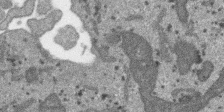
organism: Human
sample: Lung epithelial cells infected with SARS-CoV-2